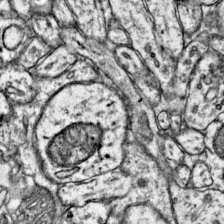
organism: Mouse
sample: Primary visual cortex